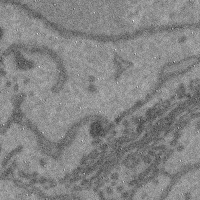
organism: Mouse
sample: Cerebral cortex